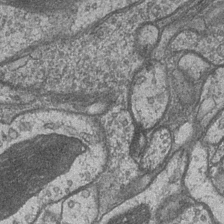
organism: Drosophila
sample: Optic medulla